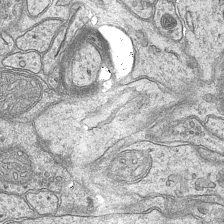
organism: Mouse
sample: CA1 Hippocampus